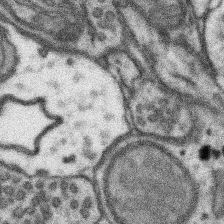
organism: Mouse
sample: Somatosensory cortex neuropil